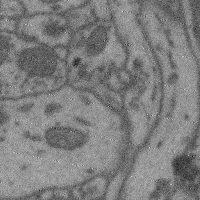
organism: Mouse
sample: Cerebral cortex